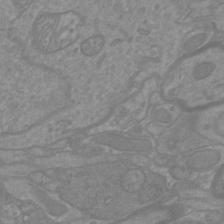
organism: Mouse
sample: Cortical neurons